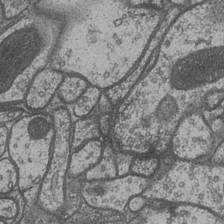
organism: Drosophila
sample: Optic medulla